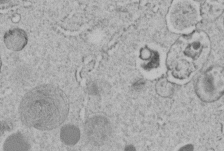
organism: C. elegans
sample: C. elegans embryo early stage